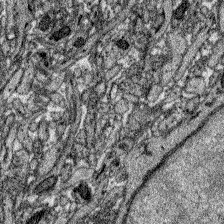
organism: Zebrafish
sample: Larval olfactory bulb